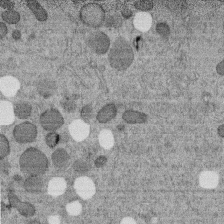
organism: C. elegans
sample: C. elegans embryo early stage